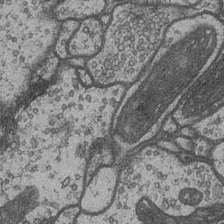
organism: Drosophila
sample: Optic medulla